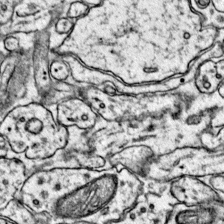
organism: Mouse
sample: Primary visual cortex